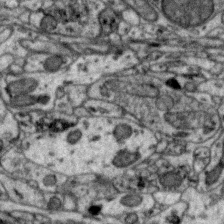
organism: Zebra finch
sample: Brain